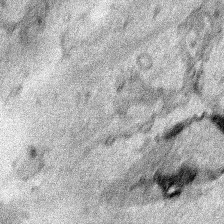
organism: Human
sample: Mitochondria in HCT116 cells